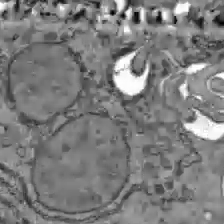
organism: C57BL Mouse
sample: Liver